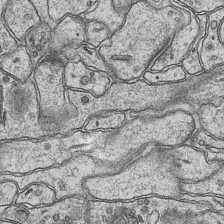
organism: Mouse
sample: CA1 Hippocampus